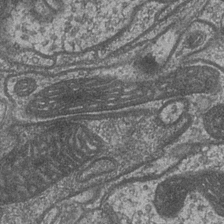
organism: Drosophila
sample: Optic medulla